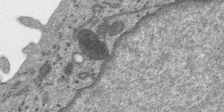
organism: Human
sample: Lung epithelial cells infected with SARS-CoV-2